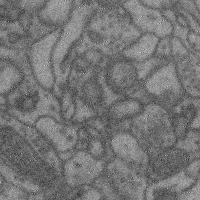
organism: Mouse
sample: Cerebral cortex